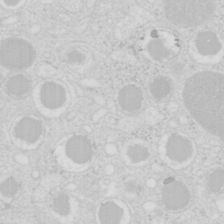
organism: Mouse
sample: Pancreas